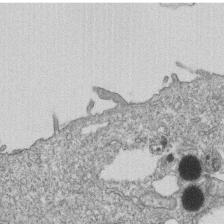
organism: Human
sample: HeLa cell HIV synapse